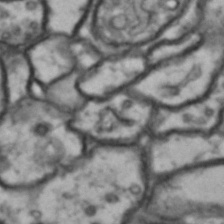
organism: Drosophila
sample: Brain